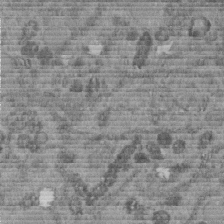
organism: C. elegans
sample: C. elegans embryo early stage